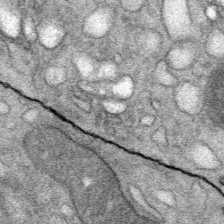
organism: Mouse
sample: Mouse Salivary gland